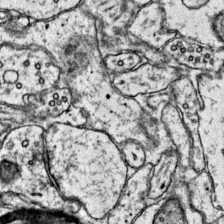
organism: Mouse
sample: Primary visual cortex